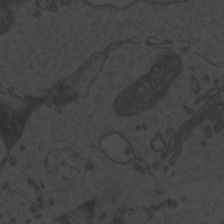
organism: Zebrafish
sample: Macrophage infected with Toxoplasma gondii